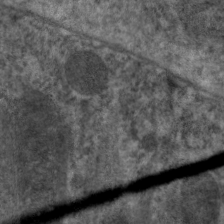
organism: C. elegans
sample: Pharynx